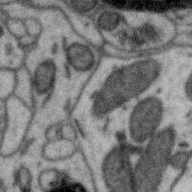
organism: Zebra finch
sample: Brain